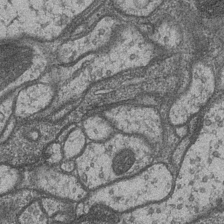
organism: Drosophila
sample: Optic medulla